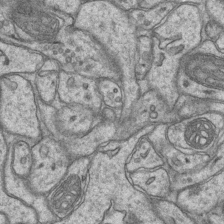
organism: Mouse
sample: CA1 Hippocampus